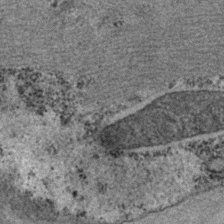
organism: C. elegans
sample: C. elegans embryo